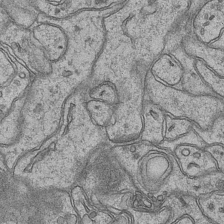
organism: Mouse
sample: CA1 Hippocampus